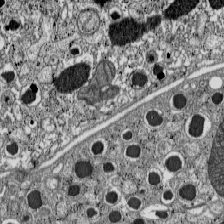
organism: C57BL Mouse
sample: Pancreatic islet